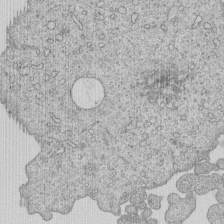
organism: Human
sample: MDA-MB-231 cells